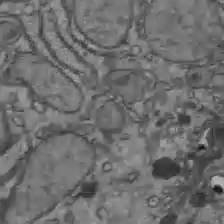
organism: C57BL Mouse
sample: Liver